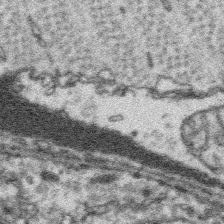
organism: Platynereis dumerilii